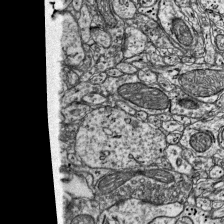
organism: Mouse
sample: Visual Cortex